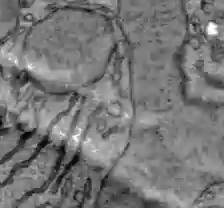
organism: C57BL Mouse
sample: Liver